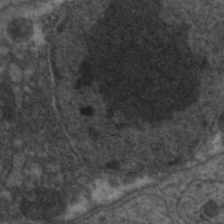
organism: C. elegans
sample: Pharynx